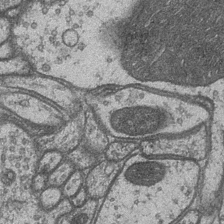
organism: Drosophila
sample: Optic medulla